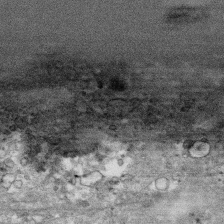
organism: Human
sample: CRL-1474